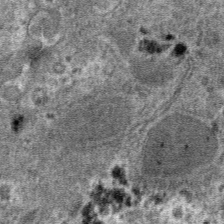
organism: Mouse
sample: Mouse hepatocytes